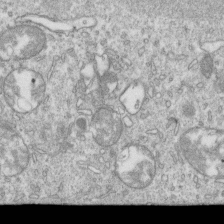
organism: Mouse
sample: Activated OT-1 CD8+ T cells